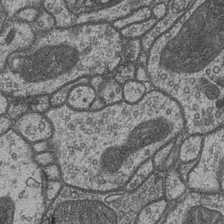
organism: Drosophila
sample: Optic medulla